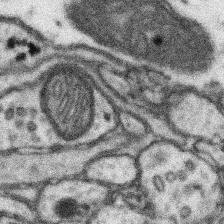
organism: Mouse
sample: Somatosensory cortex neuropil